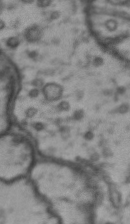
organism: Drosophila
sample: Brain